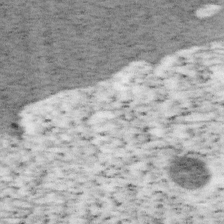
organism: Mouse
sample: OT-I killer T cells with ID8 ovarian cancer cells